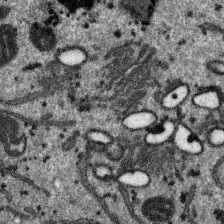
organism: Human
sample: Lung epithelial cells infected with SARS-CoV-2